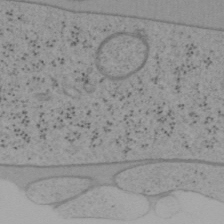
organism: Human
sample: HeLa cells